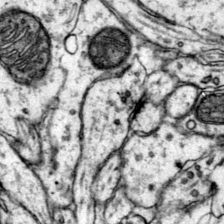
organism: Mouse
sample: Primary visual cortex